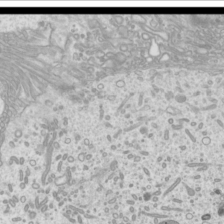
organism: Mouse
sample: Cilia; mouse epididymis